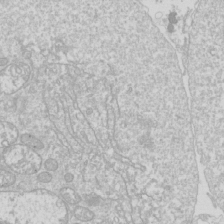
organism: Drosophila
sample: Cell division; meiosis; drosophila spermatocytes